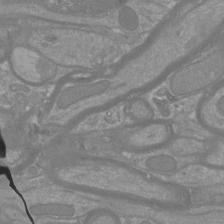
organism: Mouse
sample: Cortical neurons